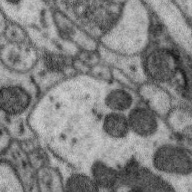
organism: Zebra finch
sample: Brain